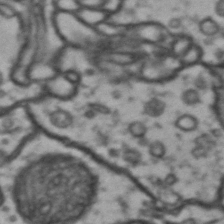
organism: Drosophila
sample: Brain